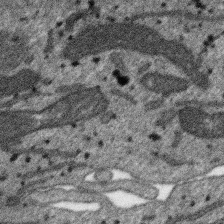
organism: Human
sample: Lung epithelial cells infected with SARS-CoV-2